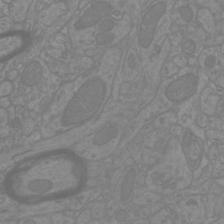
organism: Mouse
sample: Cortical neurons